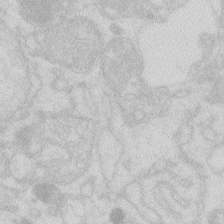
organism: Zebrafish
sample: Macrophage